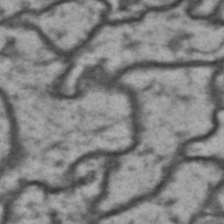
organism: Drosophila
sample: Brain